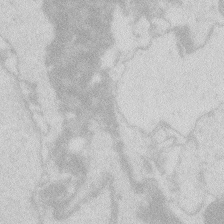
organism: Zebrafish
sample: Macrophage